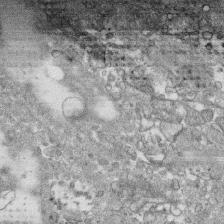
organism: Human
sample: CRL-1474